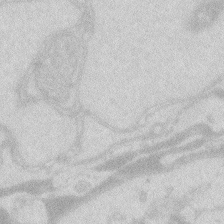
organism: Zebrafish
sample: Macrophage